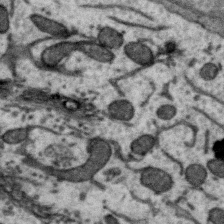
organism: Zebra finch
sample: Brain